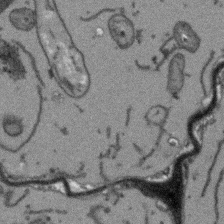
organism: Arabidopsis thaliana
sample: Root tip